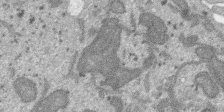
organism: Human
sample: Lung epithelial cells infected with SARS-CoV-2